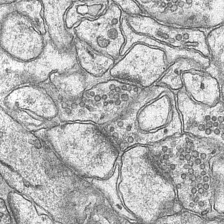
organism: Mouse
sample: CA1 Hippocampus